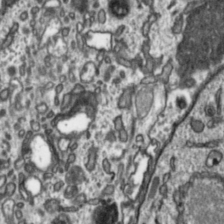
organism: Toxoplasma gondii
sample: Parasites in a vacuole inside a host cell